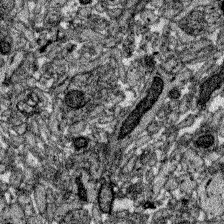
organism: Zebrafish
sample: Larval olfactory bulb